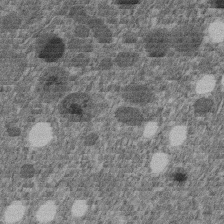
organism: C. elegans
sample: C. elegans embryo early stage